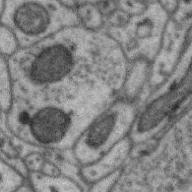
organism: Zebra finch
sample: Brain